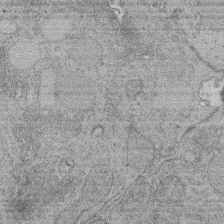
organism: Rat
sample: Salivary granule